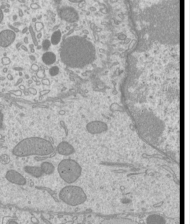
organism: Mouse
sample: Cilia; mouse epididymis